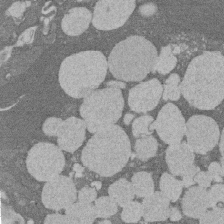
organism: Rat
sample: Salivary granule